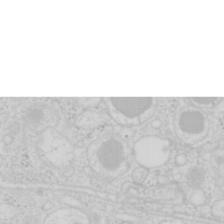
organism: Mouse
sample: Pancreas